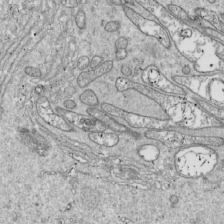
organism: Drosophila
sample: Cell division; meiosis; drosophila spermatocytes